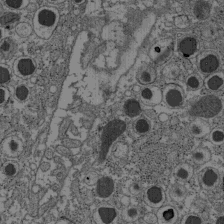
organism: C57BL Mouse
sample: Pancreatic islet